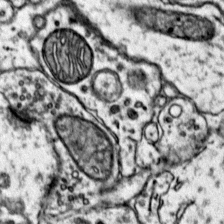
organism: Mouse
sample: Primary visual cortex